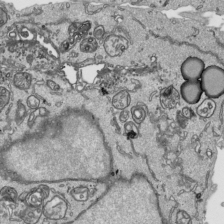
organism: Human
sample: Mitochondria in HCT116 cells